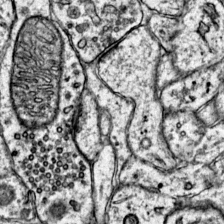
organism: Mouse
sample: Primary visual cortex